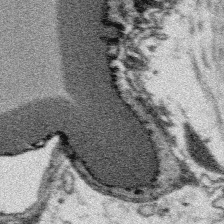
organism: Platynereis dumerilii